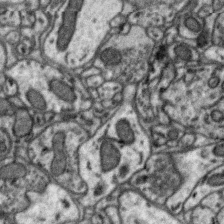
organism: Zebra finch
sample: Brain